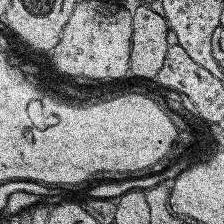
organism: Human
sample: Temporal Lobe